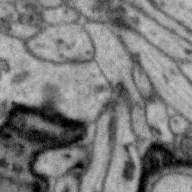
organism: Zebra finch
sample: Brain